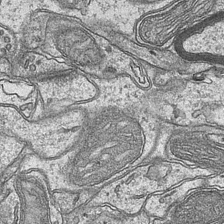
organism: Mouse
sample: CA1 Hippocampus